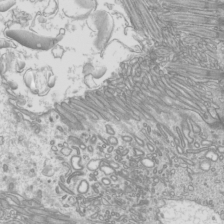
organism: Mouse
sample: Cilia; mouse epididymis